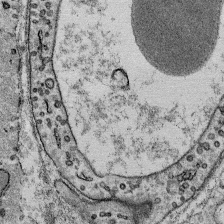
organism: Mouse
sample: Mouse Salivary gland